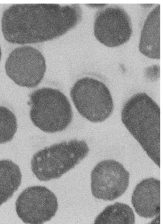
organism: E. coli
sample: Bacterial nucleoid